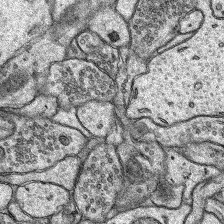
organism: Rat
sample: Hippocampus